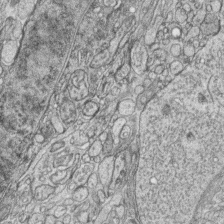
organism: Zebrafish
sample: synaptic ribbons in rod cells and cone cells